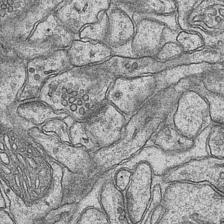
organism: Mouse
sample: CA1 Hippocampus